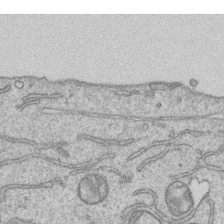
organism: Human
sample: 1205lu cells